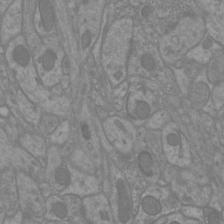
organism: Mouse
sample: Cortical neurons